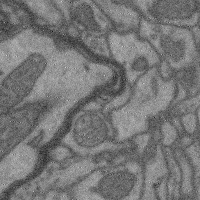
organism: Mouse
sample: Cerebral cortex